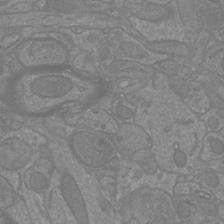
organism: Mouse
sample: Cortical neurons